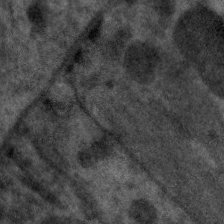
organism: C. elegans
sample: Pharynx